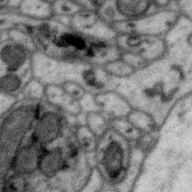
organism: Zebra finch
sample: Brain